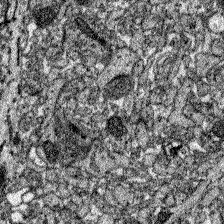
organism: Zebrafish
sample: Larval olfactory bulb